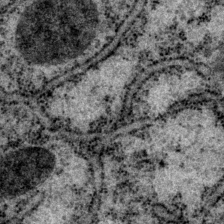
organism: P. pacificus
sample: Pharynx